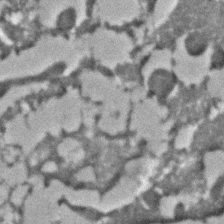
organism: C. elegans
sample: C. elegans embryo